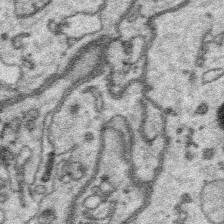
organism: Platynereis dumerilii